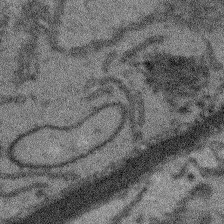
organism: Arabidopsis thaliana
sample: Root tip